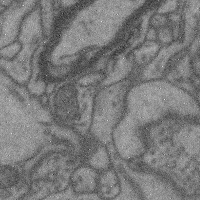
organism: Mouse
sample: Cerebral cortex